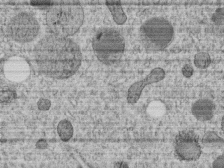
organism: C. elegans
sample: C. elegans embryo early stage